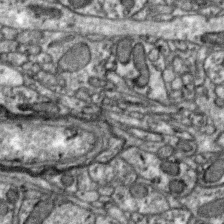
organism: Zebra finch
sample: Brain